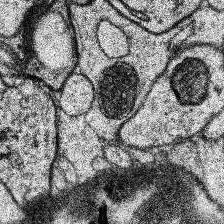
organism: Human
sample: Temporal Lobe